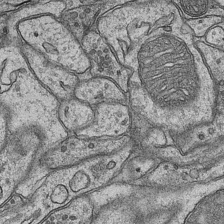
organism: Mouse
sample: CA1 Hippocampus